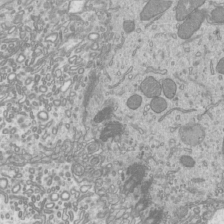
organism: Mouse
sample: Cilia; mouse epididymis